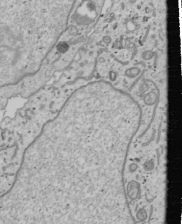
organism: Human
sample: Mitochondria in U2OS cells